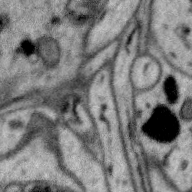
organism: Zebra finch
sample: Brain